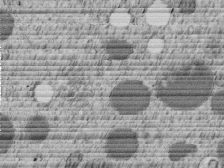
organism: C. elegans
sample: C. elegans embryo early stage